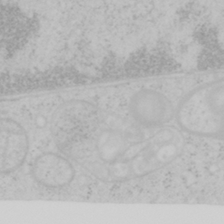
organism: Mouse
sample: OT-I killer T cells with ID8 ovarian cancer cells